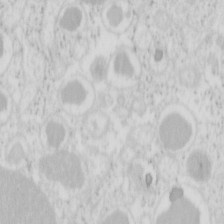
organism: Mouse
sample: Pancreas